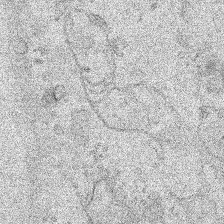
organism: Human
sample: Mitochondria in HCT116 cells